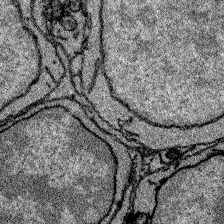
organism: Zebrafish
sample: Larval olfactory bulb